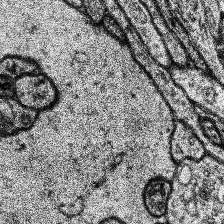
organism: Human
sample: Temporal Lobe